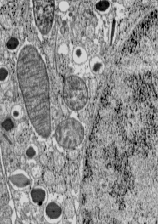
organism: C57BL Mouse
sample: Pancreatic islet